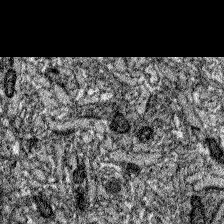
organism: Zebrafish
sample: Larval olfactory bulb